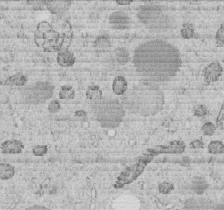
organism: C. elegans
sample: C. elegans embryo early stage